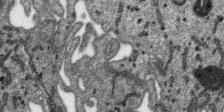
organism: Human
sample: Lung epithelial cells infected with SARS-CoV-2